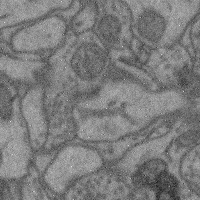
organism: Mouse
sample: Cerebral cortex